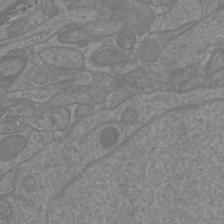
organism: Mouse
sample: Cortical neurons